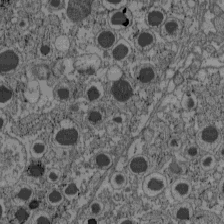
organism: C57BL Mouse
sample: Pancreatic islet